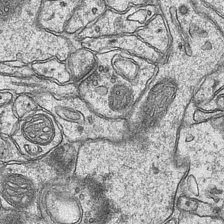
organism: Mouse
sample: CA1 Hippocampus